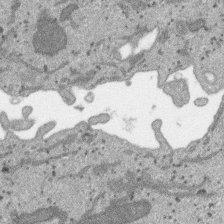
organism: Human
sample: Lung epithelial cells infected with SARS-CoV-2